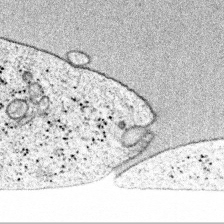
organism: Human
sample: HeLa cells